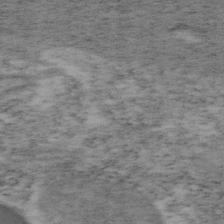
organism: Mouse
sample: OT-I killer T cells with ID8 ovarian cancer cells